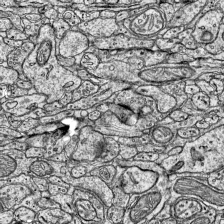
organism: Mouse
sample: Visual Cortex